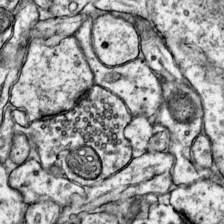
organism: Mouse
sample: Primary visual cortex